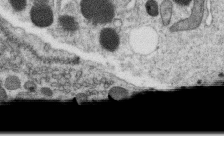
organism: C. elegans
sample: C. elegans oocyte; sperm cells